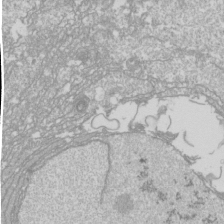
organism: Drosophila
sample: Cell division; meiosis; drosophila spermatocytes